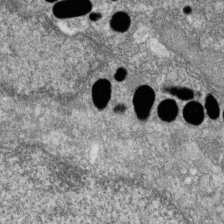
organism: Zebrafish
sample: Cilia; retinal pigment epithelium